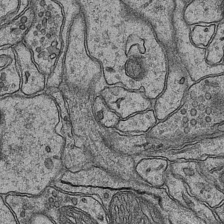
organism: Mouse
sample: CA1 Hippocampus